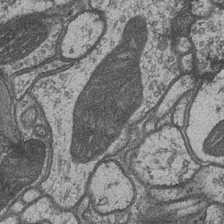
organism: Drosophila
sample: Optic medulla